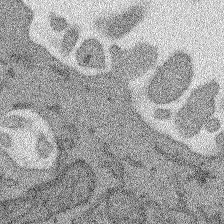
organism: Human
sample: HeLa cells